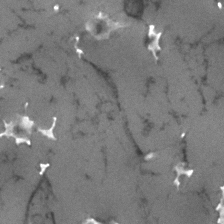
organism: Human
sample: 1205lu cells